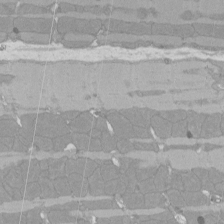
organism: Rat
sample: Left ventricle